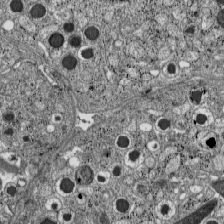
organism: C57BL Mouse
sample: Pancreatic islet